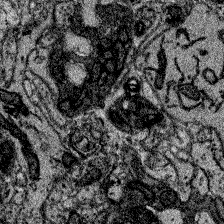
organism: Zebrafish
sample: Larval olfactory bulb